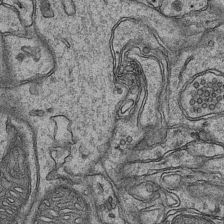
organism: Mouse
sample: CA1 Hippocampus